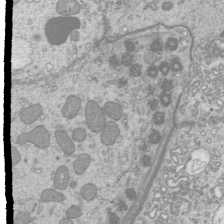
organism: Mouse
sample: Cilia; mouse epididymis